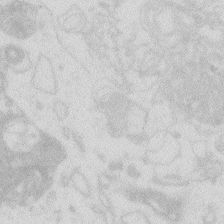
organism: Zebrafish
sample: Macrophage